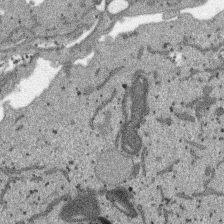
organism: Human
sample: Lung epithelial cells infected with SARS-CoV-2